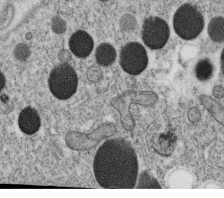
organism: C. elegans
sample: C. elegans oocyte; sperm cells